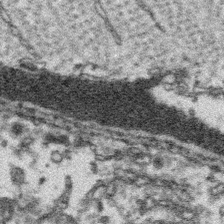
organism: Platynereis dumerilii